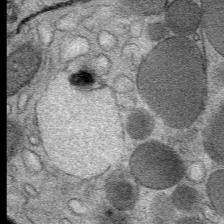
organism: Mouse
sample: Mouse Salivary gland